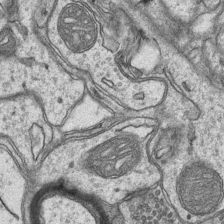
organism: Mouse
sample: CA1 Hippocampus